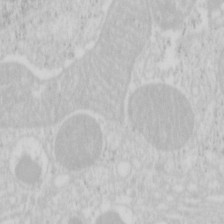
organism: Mouse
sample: Pancreas